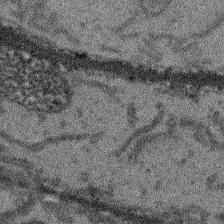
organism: Arabidopsis thaliana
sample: Root tip